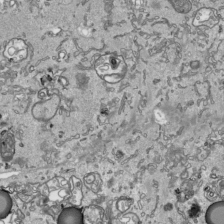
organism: Human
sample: Mitochondria in HCT116 cells